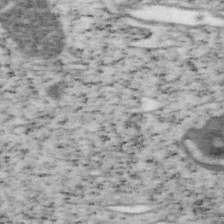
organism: Mouse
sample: OT-I killer T cells with ID8 ovarian cancer cells